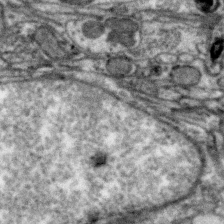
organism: Zebra finch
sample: Brain